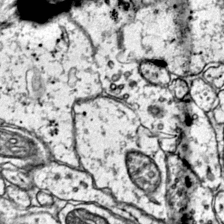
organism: Mouse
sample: Primary visual cortex